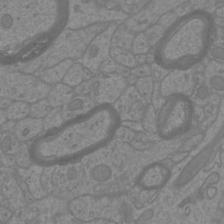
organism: Mouse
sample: Cortical neurons